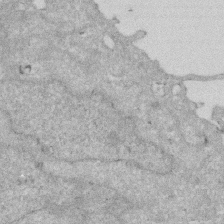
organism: Human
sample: HIV infected U937 cells